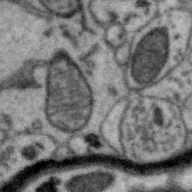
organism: Zebra finch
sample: Brain